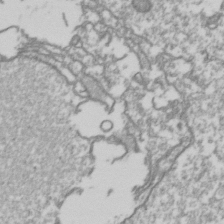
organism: Drosophila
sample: Cell division; meiosis; drosophila spermatocytes